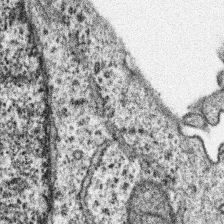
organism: Human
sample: HeLa cells